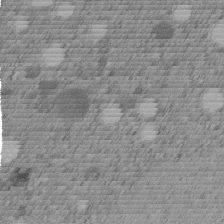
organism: C. elegans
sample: C. elegans embryo early stage